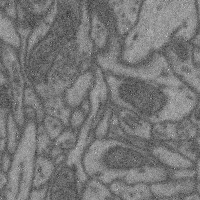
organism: Mouse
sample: Cerebral cortex